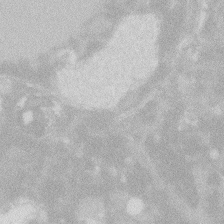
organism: Zebrafish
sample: Macrophage